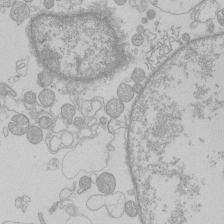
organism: Human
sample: Macrophage cells